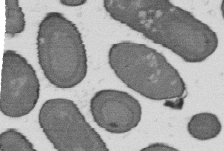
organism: B. subtilis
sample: Bacterial spore